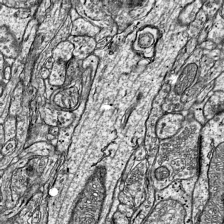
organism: Mouse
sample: Visual Cortex